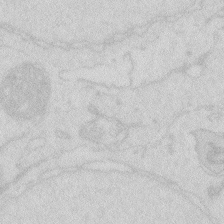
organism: Zebrafish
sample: Macrophage